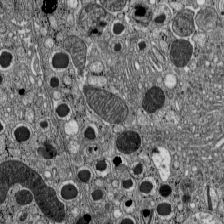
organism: C57BL Mouse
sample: Pancreatic islet